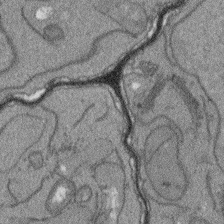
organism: Arabidopsis thaliana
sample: Root tip